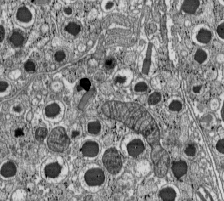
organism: C57BL Mouse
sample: Pancreatic islet